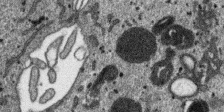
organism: Human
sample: Lung epithelial cells infected with SARS-CoV-2